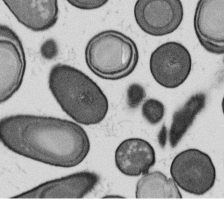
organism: B. subtilis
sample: Bacterial spore